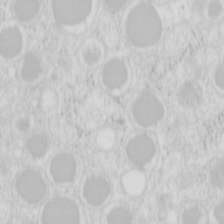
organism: Mouse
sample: Pancreas